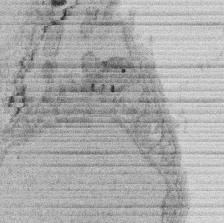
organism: Rat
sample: Salivary granule